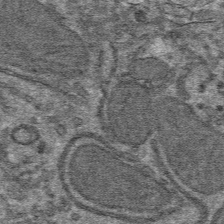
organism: Mouse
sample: Mouse hepatocytes